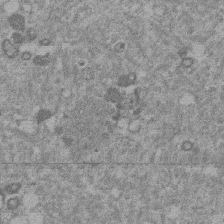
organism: Mouse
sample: Dividing mouse embryo 1 cell stage